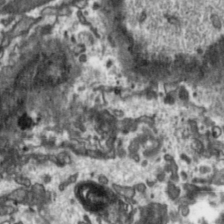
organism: Toxoplasma gondii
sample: Parasites in a vacuole inside a host cell